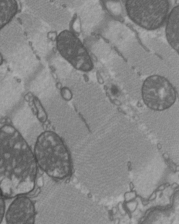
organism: C57BL Mouse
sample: Heart